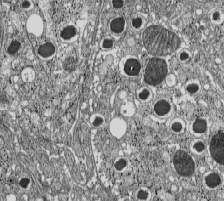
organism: C57BL Mouse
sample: Pancreatic islet